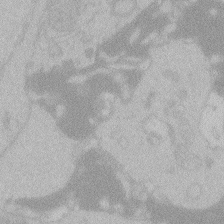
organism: Zebrafish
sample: Macrophage infected with Toxoplasma gondii